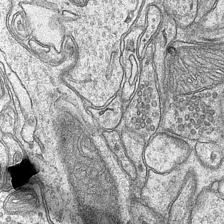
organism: Mouse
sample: CA1 Hippocampus